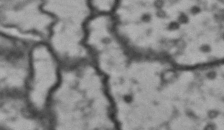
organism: Drosophila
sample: Brain